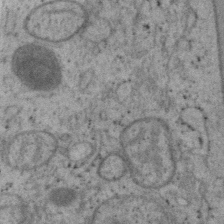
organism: Human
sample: HeLa cells